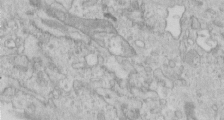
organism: Human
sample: Centriole in RPE cells